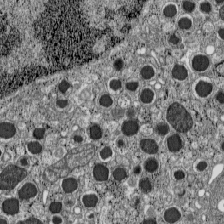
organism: C57BL Mouse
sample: Pancreatic islet